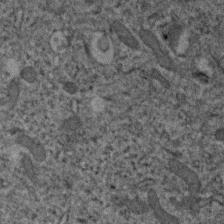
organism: Human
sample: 1205lu cells